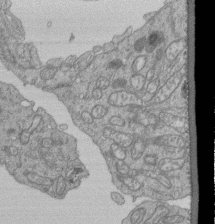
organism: Human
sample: Retinal organoid Rod and Cone cells